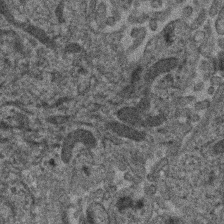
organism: Human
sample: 1205lu cells